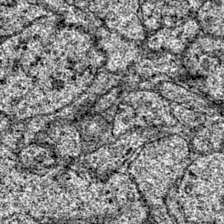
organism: Mouse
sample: Primary visual cortex